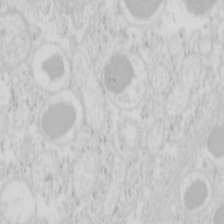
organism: Mouse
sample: Pancreas